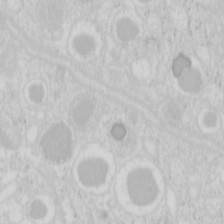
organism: Mouse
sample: Pancreas